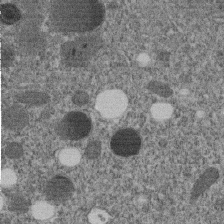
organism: C. elegans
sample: C. elegans embryo early stage